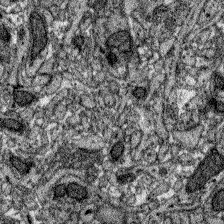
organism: Zebrafish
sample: Larval olfactory bulb